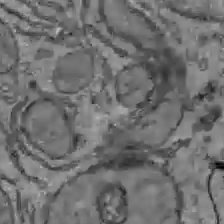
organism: C57BL Mouse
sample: Liver